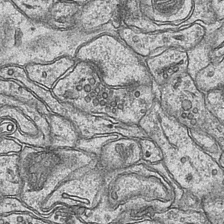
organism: Mouse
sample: CA1 Hippocampus